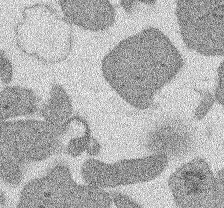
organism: Human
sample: HeLa cells